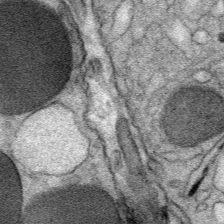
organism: Mouse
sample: Mouse Salivary gland